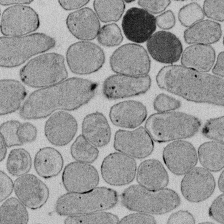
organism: E. coli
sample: Bacterial nucleoid